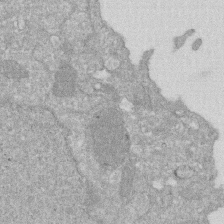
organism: Human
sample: HIV infected U937 cells